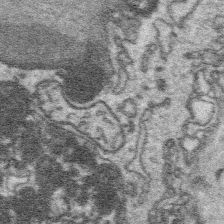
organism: Platynereis dumerilii